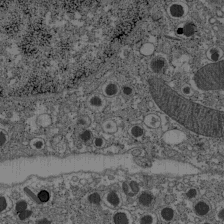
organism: C57BL Mouse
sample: Pancreatic islet